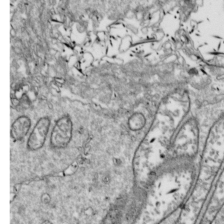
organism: Drosophila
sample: Cell division; meiosis; drosophila spermatocytes